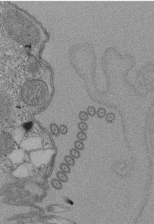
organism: Tetrahymena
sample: Cilia in tetrahymena